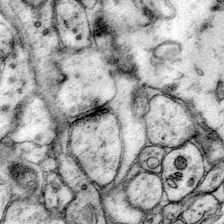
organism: Mouse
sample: Primary visual cortex